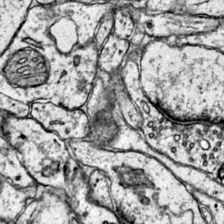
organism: Mouse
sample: Primary visual cortex